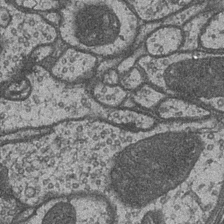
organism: Drosophila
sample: Optic medulla